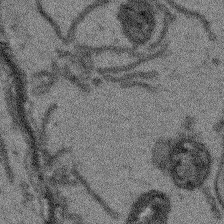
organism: Arabidopsis thaliana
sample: Root tip